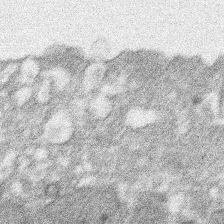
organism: Xenopus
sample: Cilia; centrioles in frog embryo cells